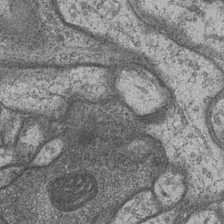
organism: Drosophila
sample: Optic medulla